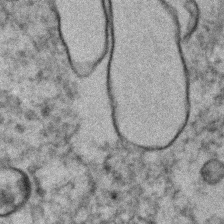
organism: Human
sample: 1205lu cells